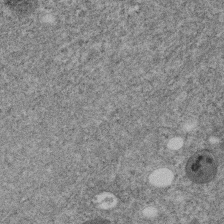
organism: C. elegans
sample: C. elegans embryo early stage